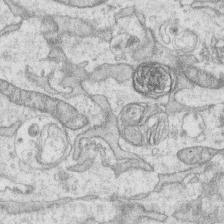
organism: Human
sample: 1205lu cells